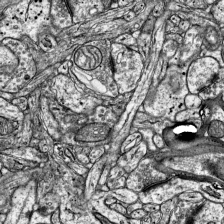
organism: Mouse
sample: Visual Cortex